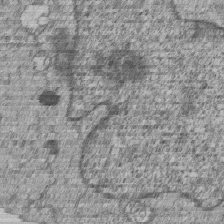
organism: Human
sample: MDA-MB-231 cells